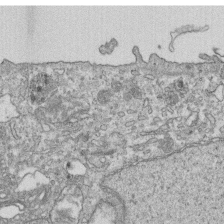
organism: Human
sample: HeLa cell HIV synapse